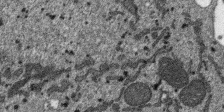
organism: Human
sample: Lung epithelial cells infected with SARS-CoV-2